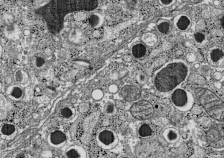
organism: C57BL Mouse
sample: Pancreatic islet